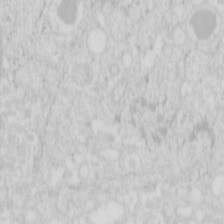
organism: Mouse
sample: Pancreas